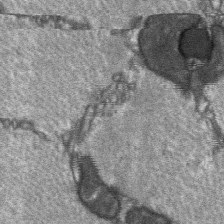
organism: C57BL Mouse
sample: Soleus